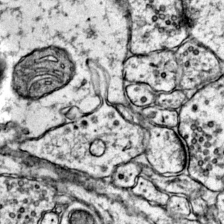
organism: Mouse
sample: Primary visual cortex